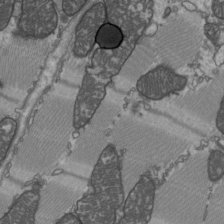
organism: C57BL Mouse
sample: Heart